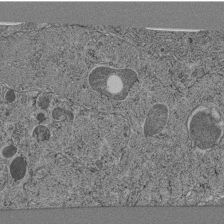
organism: C. elegans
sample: C. elegans pharynx